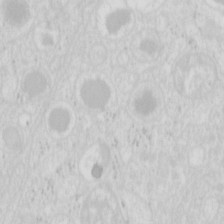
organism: Mouse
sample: Pancreas